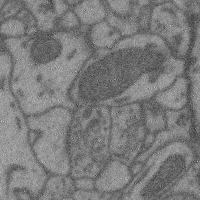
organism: Mouse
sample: Cerebral cortex